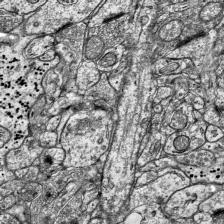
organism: Mouse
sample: Visual Cortex